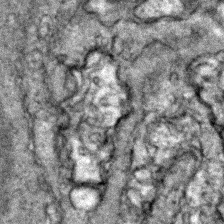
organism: Zebrafish